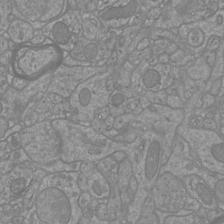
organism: Mouse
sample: Cortical neurons